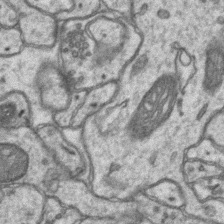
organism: Mouse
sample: CA1 Hippocampus